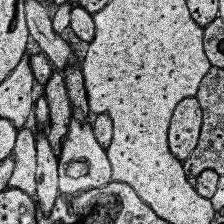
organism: Human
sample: Temporal Lobe